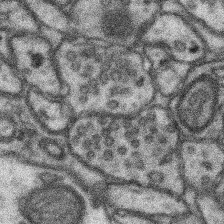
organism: Mouse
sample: Somatosensory cortex neuropil